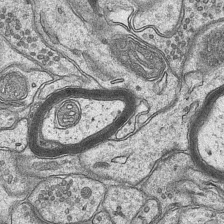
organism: Mouse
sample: CA1 Hippocampus